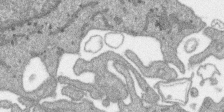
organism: Human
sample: Lung epithelial cells infected with SARS-CoV-2